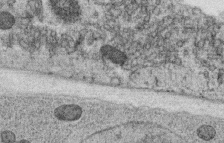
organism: C. elegans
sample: C. elegans oocyte; sperm cells